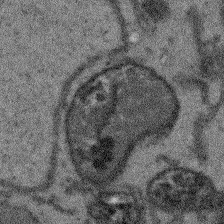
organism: Arabidopsis thaliana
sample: Root tip